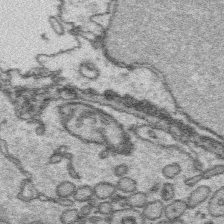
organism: Platynereis dumerilii